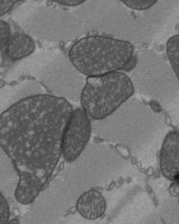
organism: C57BL Mouse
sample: Heart